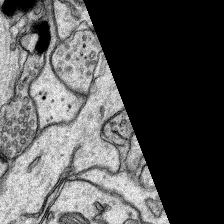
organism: Rat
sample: Hippocampus